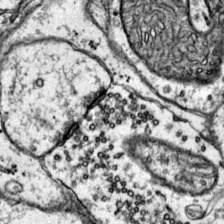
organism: Mouse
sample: Primary visual cortex